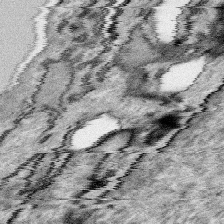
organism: Human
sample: HeLa cells